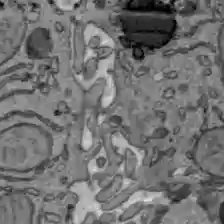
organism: C57BL Mouse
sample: Liver